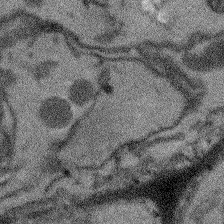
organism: Arabidopsis thaliana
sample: Root tip